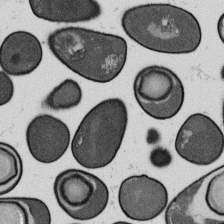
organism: B. subtilis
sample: Bacterial spore